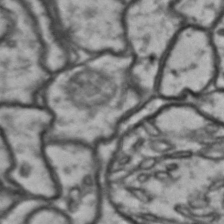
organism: Drosophila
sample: Brain